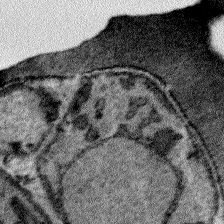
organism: Plasmodium falciparum